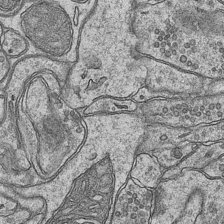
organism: Mouse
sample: CA1 Hippocampus